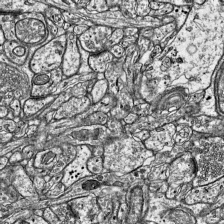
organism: Mouse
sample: Visual Cortex